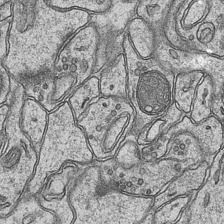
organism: Mouse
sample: CA1 Hippocampus